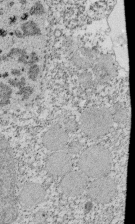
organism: Tetrahymena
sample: Cilia in tetrahymena